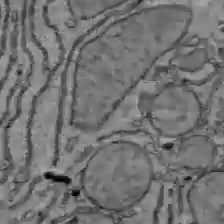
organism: C57BL Mouse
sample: Liver